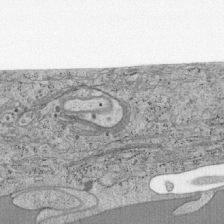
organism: Human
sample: HeLa cells